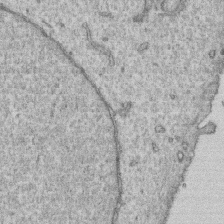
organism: Human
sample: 1205lu cells